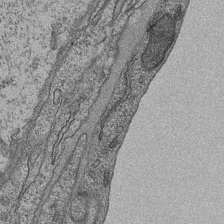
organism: Mouse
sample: CA1 Hippocampus